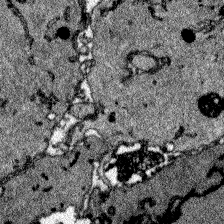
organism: Zebrafish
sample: Larval olfactory bulb